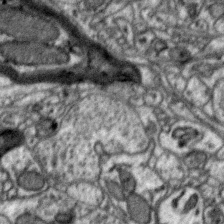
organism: Zebra finch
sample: Brain